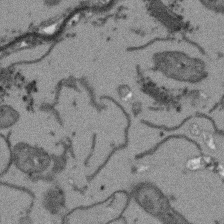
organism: Arabidopsis thaliana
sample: Root tip